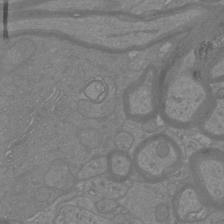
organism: Mouse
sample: Cortical neurons